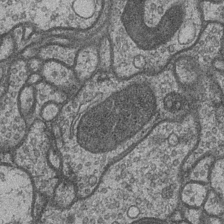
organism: Drosophila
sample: Optic medulla